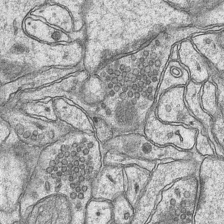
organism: Mouse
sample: CA1 Hippocampus